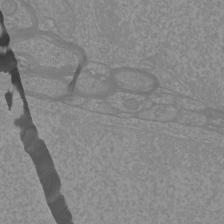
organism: Mouse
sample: Cortical neurons